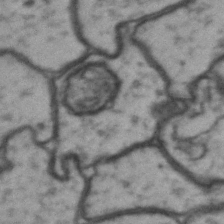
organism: Drosophila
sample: Brain